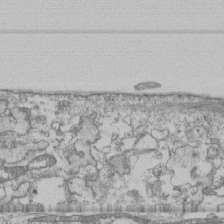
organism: Human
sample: Fibroblast cells